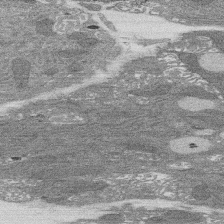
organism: Rat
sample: Salivary granule